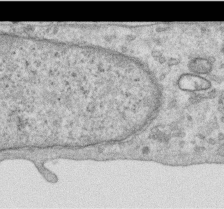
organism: Human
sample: Centriole in RPE cells